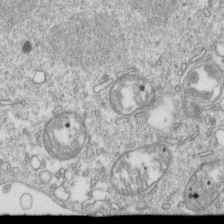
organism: Mouse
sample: Activated OT-1 CD8+ T cells